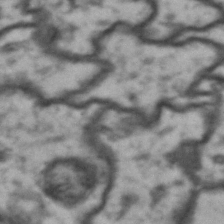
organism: Drosophila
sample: Brain